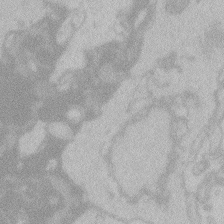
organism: Zebrafish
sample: Macrophage infected with Toxoplasma gondii